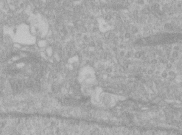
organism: Human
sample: Centriole in RPE cells